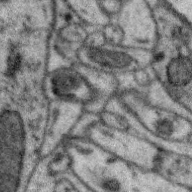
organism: Zebra finch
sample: Brain